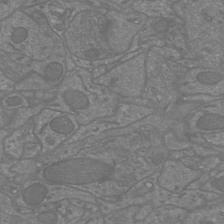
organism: Mouse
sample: Cortical neurons